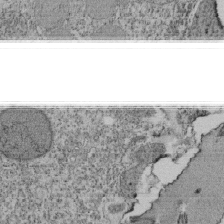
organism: Tetrahymena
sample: Cilia in tetrahymena